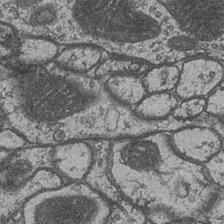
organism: Drosophila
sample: Optic medulla